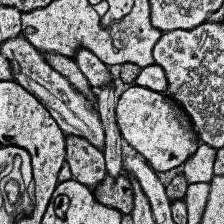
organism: Human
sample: Temporal Lobe